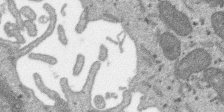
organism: Human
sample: Lung epithelial cells infected with SARS-CoV-2